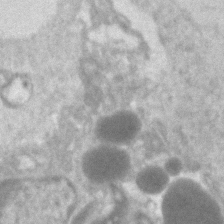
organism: Human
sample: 1205lu cells